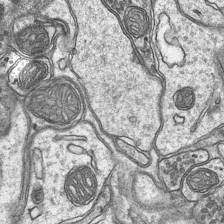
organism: Mouse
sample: CA1 Hippocampus